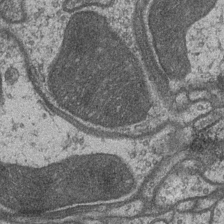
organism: Drosophila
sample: Optic medulla